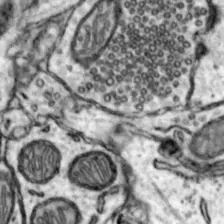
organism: Mouse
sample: Nucleus accumbens